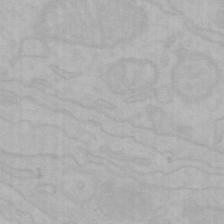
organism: Mouse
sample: Choroid plexus